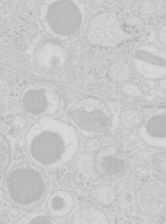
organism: Mouse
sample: Pancreas